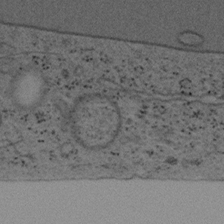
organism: Human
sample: HeLa cells